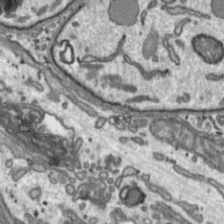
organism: Toxoplasma gondii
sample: Parasites in a vacuole inside a host cell